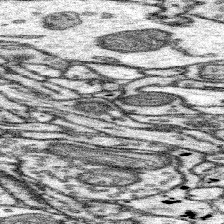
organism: Mouse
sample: Somatosensory cortex neuropil